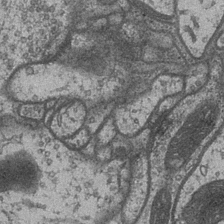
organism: Drosophila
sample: Optic medulla